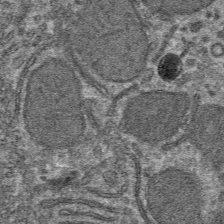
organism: Mouse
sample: Mouse hepatocytes